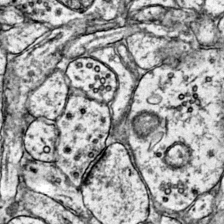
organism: Mouse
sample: Primary visual cortex